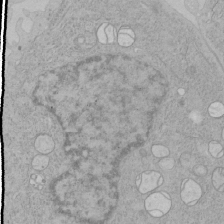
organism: Human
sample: Mitochondria in HCT116 cells